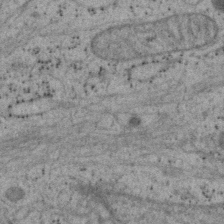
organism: Human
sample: HeLa cells